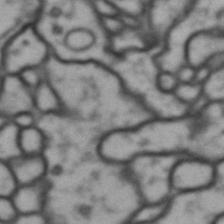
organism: Drosophila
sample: Brain